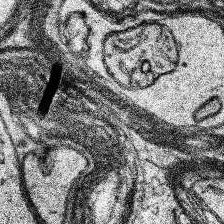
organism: Human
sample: Temporal Lobe